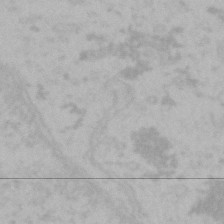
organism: Mouse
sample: Choroid plexus